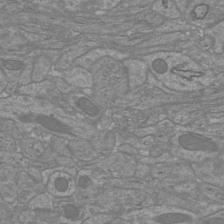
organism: Mouse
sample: Cortical neurons